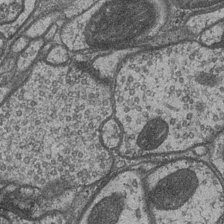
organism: Drosophila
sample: Optic medulla